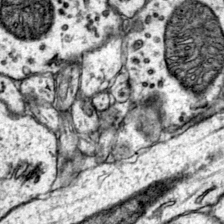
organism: Mouse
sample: Primary visual cortex